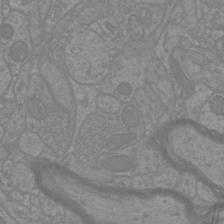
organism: Mouse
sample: Cortical neurons